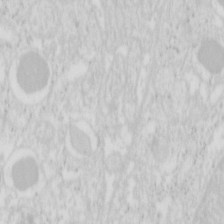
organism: Mouse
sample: Pancreas